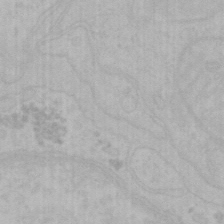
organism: Mouse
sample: Choroid plexus